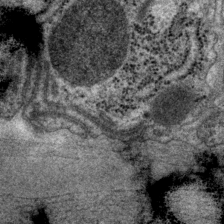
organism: P. pacificus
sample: Pharynx